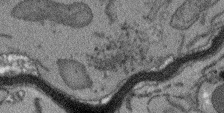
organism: Arabidopsis thaliana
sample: Root tip